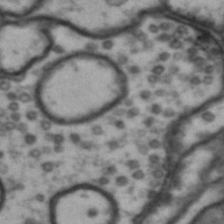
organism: Drosophila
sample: Brain